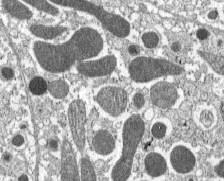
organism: C57BL Mouse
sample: Pancreatic islet